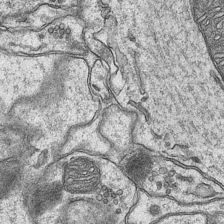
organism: Mouse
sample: CA1 Hippocampus